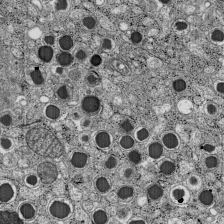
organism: C57BL Mouse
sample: Pancreatic islet